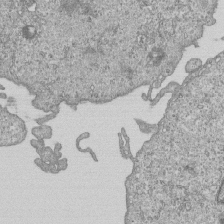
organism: Human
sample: MDA-MB-231 cells